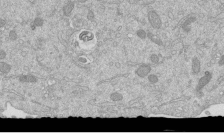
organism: Mouse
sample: ED-1 cell nuclei; centrioles